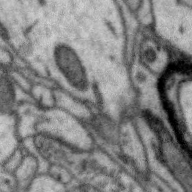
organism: Zebra finch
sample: Brain